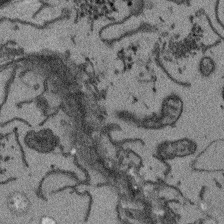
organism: Arabidopsis thaliana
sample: Root tip